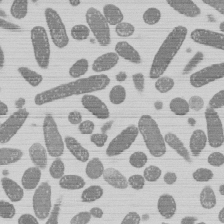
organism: E. coli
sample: Bacterial nucleoid